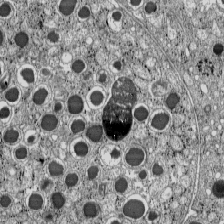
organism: C57BL Mouse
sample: Pancreatic islet